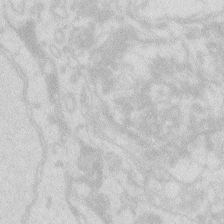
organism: Zebrafish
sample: Macrophage